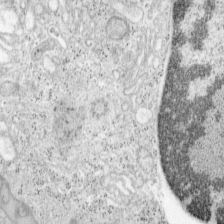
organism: Mouse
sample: OT-I killer T cells with ID8 ovarian cancer cells